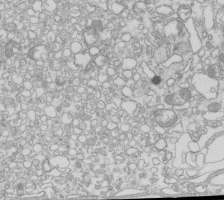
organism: Mouse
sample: Macrophages